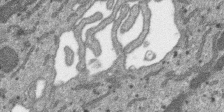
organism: Human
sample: Lung epithelial cells infected with SARS-CoV-2